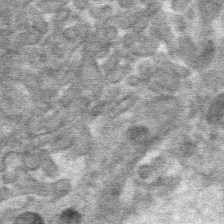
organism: Mouse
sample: Mouse hepatocytes